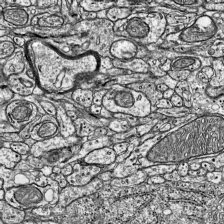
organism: Mouse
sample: Visual Cortex